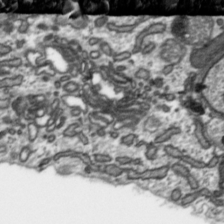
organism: Toxoplasma gondii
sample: Parasites in a vacuole inside a host cell